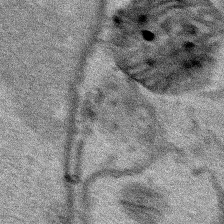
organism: Human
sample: Mitochondria in HCT116 cells